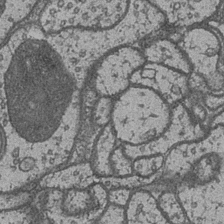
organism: Drosophila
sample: Optic medulla